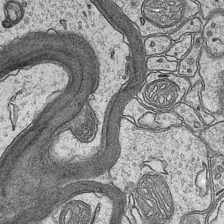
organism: Mouse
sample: CA1 Hippocampus